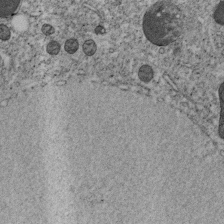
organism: C. elegans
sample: C. elegans embryo early stage